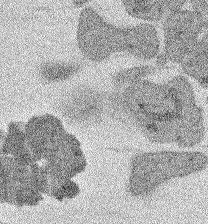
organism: Human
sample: HeLa cells